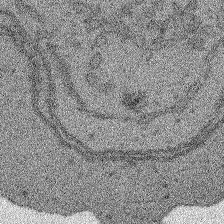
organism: Human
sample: HeLa cells